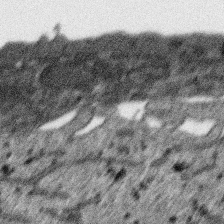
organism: Human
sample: Lung epithelial cells infected with SARS-CoV-2